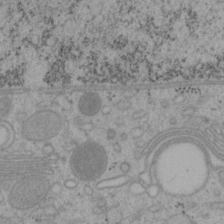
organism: Human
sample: HeLa cells